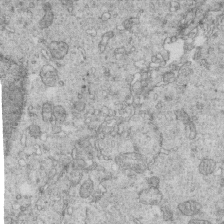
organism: Mouse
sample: Multiciliated cells